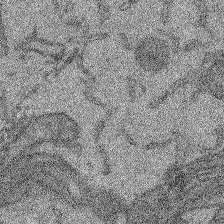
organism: Human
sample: HeLa cells